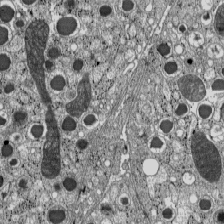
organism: C57BL Mouse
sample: Pancreatic islet